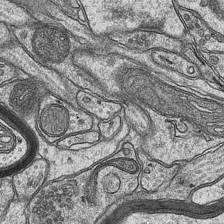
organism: Mouse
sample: CA1 Hippocampus